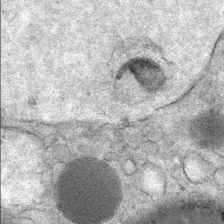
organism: Mouse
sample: Mouse Salivary gland